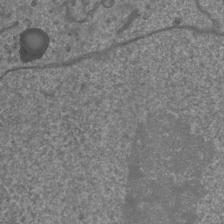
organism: Mouse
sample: Cortical neurons